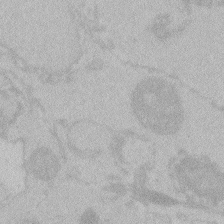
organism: Zebrafish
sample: Macrophage infected with Toxoplasma gondii